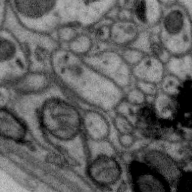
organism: Zebra finch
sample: Brain